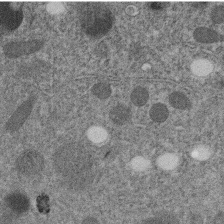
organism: C. elegans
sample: C. elegans embryo early stage